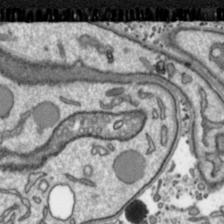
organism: Toxoplasma gondii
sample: Parasites in a vacuole inside a host cell